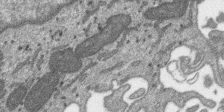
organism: Human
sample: Lung epithelial cells infected with SARS-CoV-2